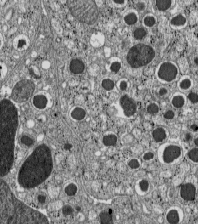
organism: C57BL Mouse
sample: Pancreatic islet